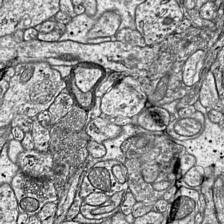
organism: Mouse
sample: Visual Cortex